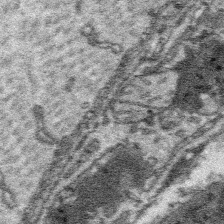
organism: Platynereis dumerilii